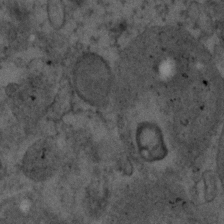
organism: Human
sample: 1205lu cells